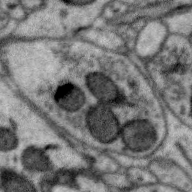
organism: Zebra finch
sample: Brain